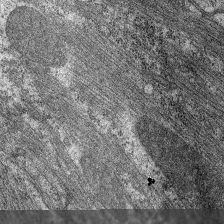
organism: C. elegans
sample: Pharynx